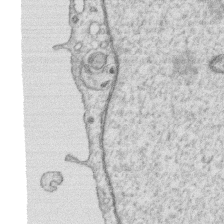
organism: Human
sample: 1205lu cells